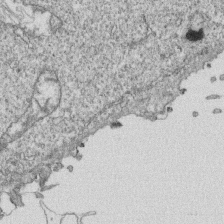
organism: Human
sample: HeLa cell HIV synapse